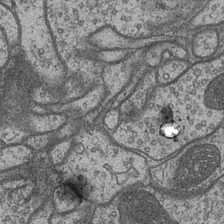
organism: Drosophila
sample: Optic medulla